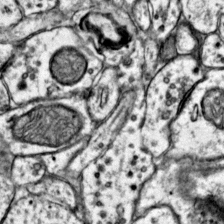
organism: Mouse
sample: Primary visual cortex